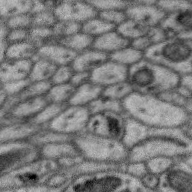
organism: Zebra finch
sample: Brain